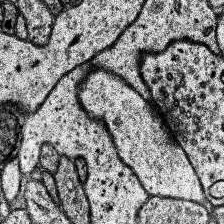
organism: Human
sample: Temporal Lobe